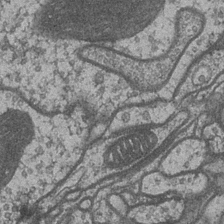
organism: Drosophila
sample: Optic medulla